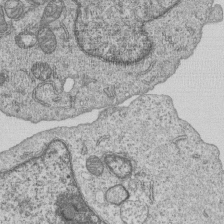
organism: Human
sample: MDA-MB-231 cells